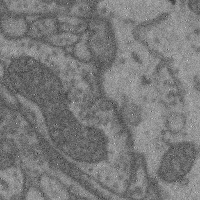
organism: Mouse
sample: Cerebral cortex